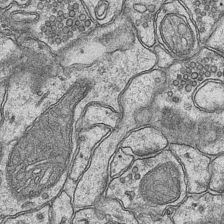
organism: Mouse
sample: CA1 Hippocampus